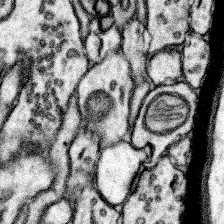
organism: Mouse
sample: Somatosensory cortex neuropil